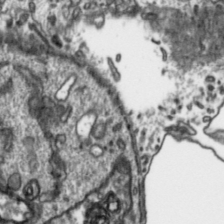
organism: Toxoplasma gondii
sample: Parasites in a vacuole inside a host cell